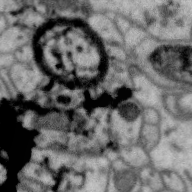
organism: Zebra finch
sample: Brain